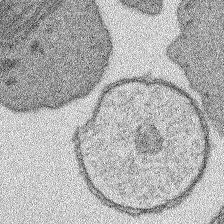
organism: Human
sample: HeLa cells